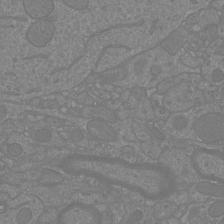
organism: Mouse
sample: Cortical neurons